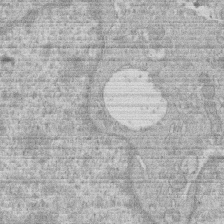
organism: Human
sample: Macrophage cells